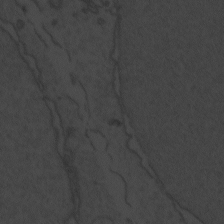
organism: Zebrafish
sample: Macrophage infected with Toxoplasma gondii